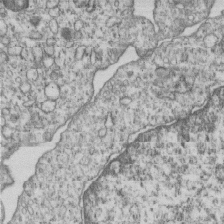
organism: Human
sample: MDA-MB-231 cells